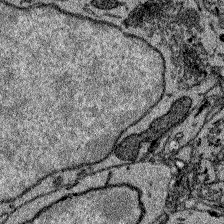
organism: Zebrafish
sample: Larval olfactory bulb